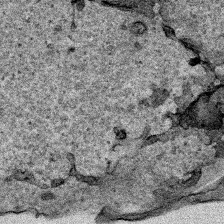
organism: Human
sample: Mitochondria in HCT116 cells